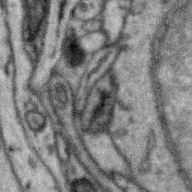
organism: Zebra finch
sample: Brain